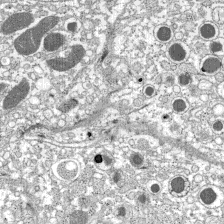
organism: C57BL Mouse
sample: Pancreatic islet